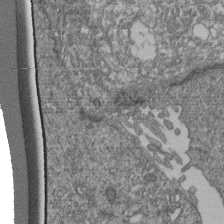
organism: Human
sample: Retinal organoid Rod and Cone cells